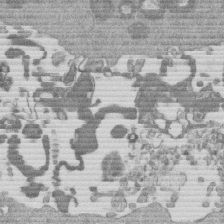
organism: Mouse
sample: Dividing mouse embryo 1 cell stage